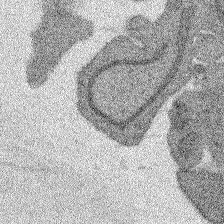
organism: Human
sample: HeLa cells